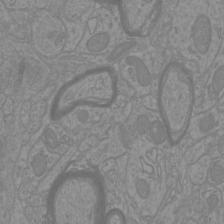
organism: Mouse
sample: Cortical neurons